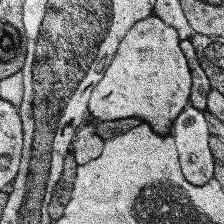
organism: Human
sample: Temporal Lobe